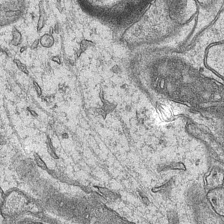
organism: Mouse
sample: CA1 Hippocampus